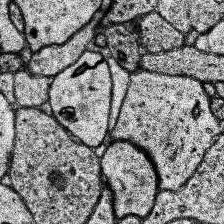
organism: Human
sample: Temporal Lobe